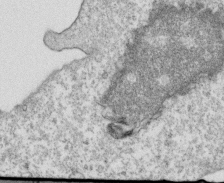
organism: Mouse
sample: Activated OT-1 CD8+ T cells